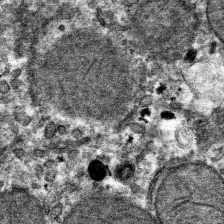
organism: Mouse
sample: Mouse hepatocytes